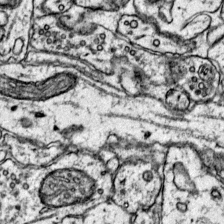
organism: Mouse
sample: Primary visual cortex